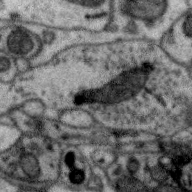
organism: Zebra finch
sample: Brain